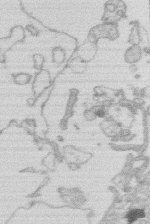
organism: Human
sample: Macrophage cells